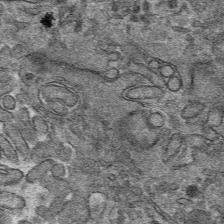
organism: Mouse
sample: Mouse hepatocytes